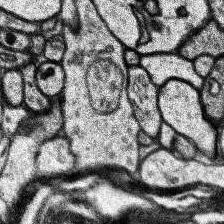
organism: Human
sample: Temporal Lobe